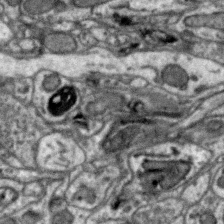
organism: Zebra finch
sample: Brain